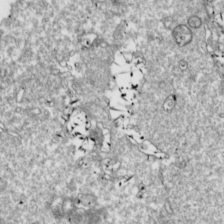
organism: Drosophila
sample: Cell division; meiosis; drosophila spermatocytes